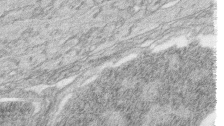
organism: Zebrafish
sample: synaptic ribbons in rod cells and cone cells